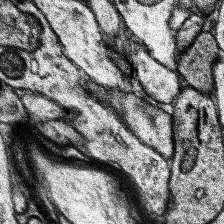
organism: Human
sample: Temporal Lobe